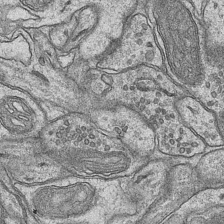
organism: Mouse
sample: CA1 Hippocampus